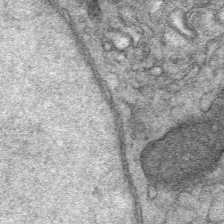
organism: Mouse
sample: Mouse Salivary gland